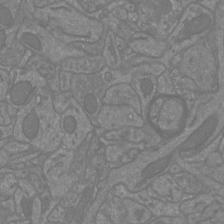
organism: Mouse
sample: Cortical neurons